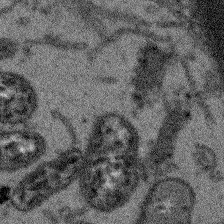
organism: Arabidopsis thaliana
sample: Root tip